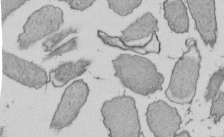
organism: E. coli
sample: Bacterial nucleoid